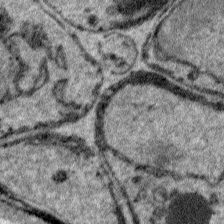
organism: Plasmodium falciparum